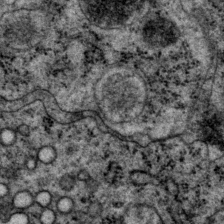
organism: P. pacificus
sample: Pharynx